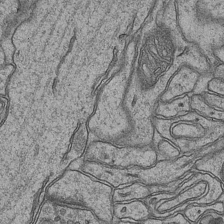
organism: Mouse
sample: CA1 Hippocampus